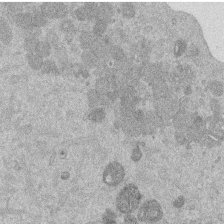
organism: Mouse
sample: Dividing mouse embryo 1 cell stage